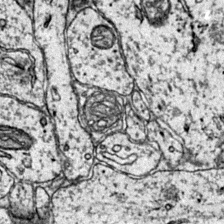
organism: Mouse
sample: Primary visual cortex